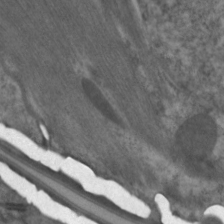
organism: C. elegans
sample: Pharynx